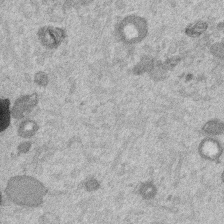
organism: Mouse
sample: Dividing mouse embryo 1 cell stage